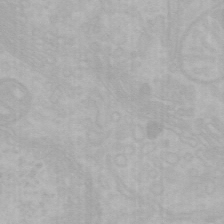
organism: Mouse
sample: Choroid plexus